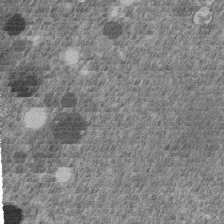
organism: C. elegans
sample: C. elegans embryo early stage